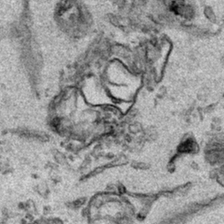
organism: Human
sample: Mitochondria in HCT116 cells